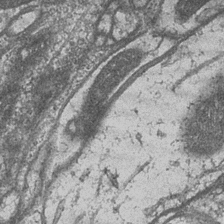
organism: Drosophila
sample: Optic medulla